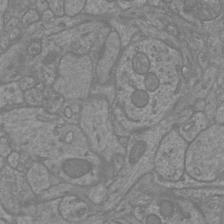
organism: Mouse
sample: Cortical neurons